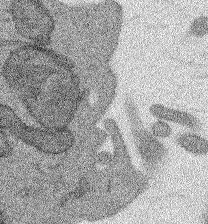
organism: Human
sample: HeLa cells